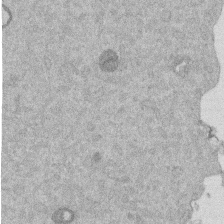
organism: Mouse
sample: Dividing mouse embryo 1 cell stage